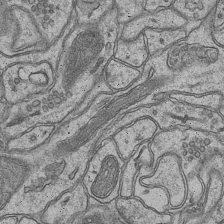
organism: Mouse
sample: CA1 Hippocampus